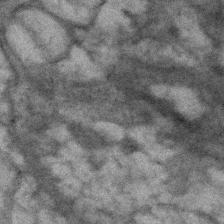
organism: Human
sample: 1205lu cells